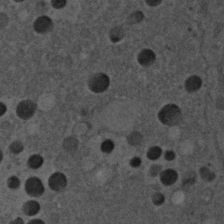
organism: C. elegans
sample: C. elegans embryo